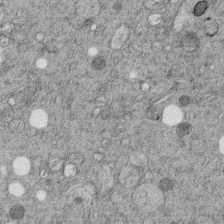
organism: C. elegans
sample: C. elegans embryo early stage